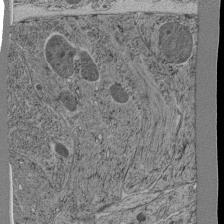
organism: C. elegans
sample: C. elegans pharynx